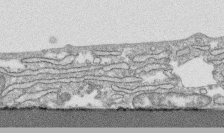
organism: Human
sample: CRL-1474